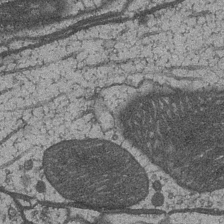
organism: Drosophila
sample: Optic medulla